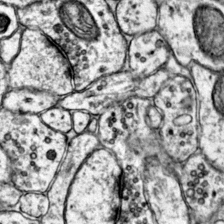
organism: Mouse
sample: Primary visual cortex